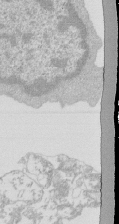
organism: Mouse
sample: Activated Pmel transgenic CD8+ T Cells